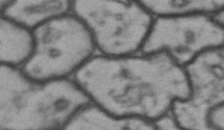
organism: Drosophila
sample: Brain